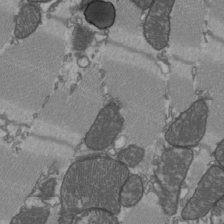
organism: C57BL Mouse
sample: Heart